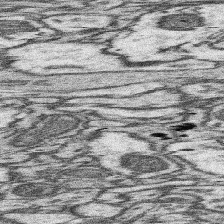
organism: Mouse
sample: Somatosensory cortex neuropil